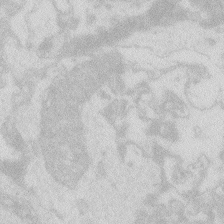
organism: Zebrafish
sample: Macrophage